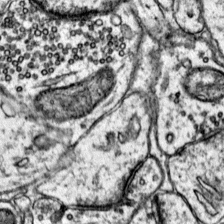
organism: Mouse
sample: Primary visual cortex